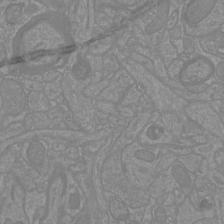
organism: Mouse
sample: Cortical neurons